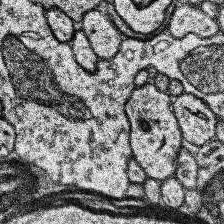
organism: Human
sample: Temporal Lobe